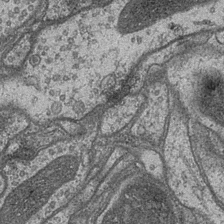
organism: Drosophila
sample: Optic medulla